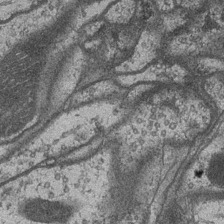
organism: Drosophila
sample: Optic medulla